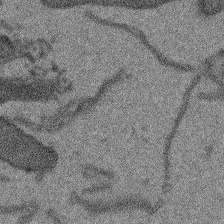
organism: Arabidopsis thaliana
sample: Root tip